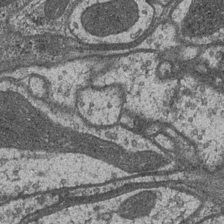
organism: Drosophila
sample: Optic medulla